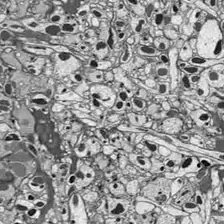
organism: Drosophila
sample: Optic lobe